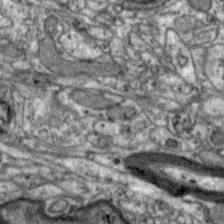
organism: Zebra finch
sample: Brain